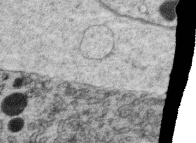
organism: C. elegans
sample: C. elegans oocyte; sperm cells